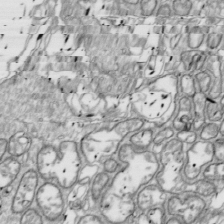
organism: Drosophila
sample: Cell division; meiosis; drosophila spermatocytes